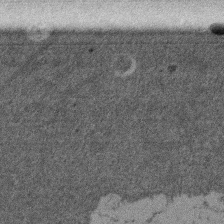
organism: Mouse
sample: Dividing mouse embryo 1 cell stage